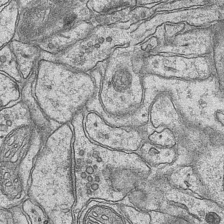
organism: Mouse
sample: CA1 Hippocampus